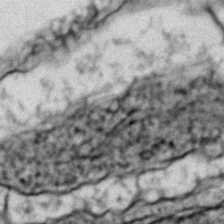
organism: Zebrafish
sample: Zebrafish embryo